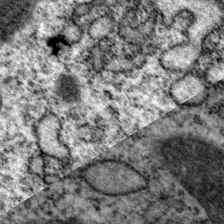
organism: P. pacificus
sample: Pharynx